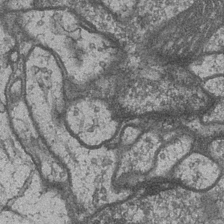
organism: Drosophila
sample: Optic medulla